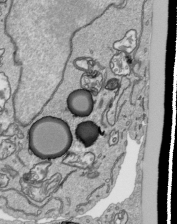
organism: Human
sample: Mitochondria in HCT116 cells